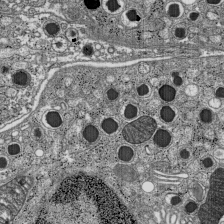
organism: C57BL Mouse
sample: Pancreatic islet